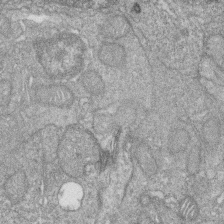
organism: Zebrafish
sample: Cilia; retinal pigment epithelium